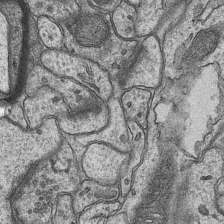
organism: Mouse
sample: CA1 Hippocampus